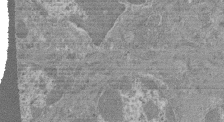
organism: Mouse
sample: Glomerulus